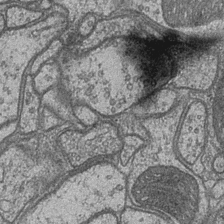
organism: Drosophila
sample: Optic medulla